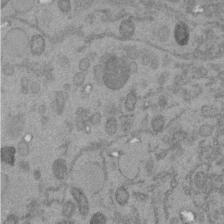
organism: C. elegans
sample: C. elegans embryo early stage